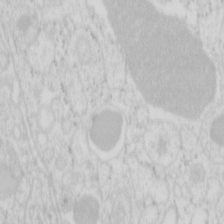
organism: Mouse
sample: Pancreas